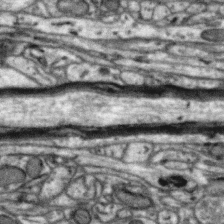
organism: Zebra finch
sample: Brain